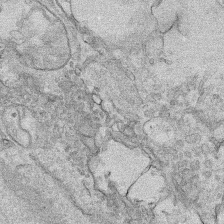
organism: Human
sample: Mitochondria in HCT116 cells